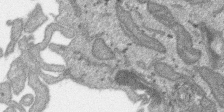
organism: Human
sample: Lung epithelial cells infected with SARS-CoV-2